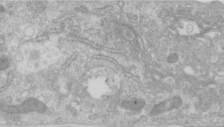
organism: Human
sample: Centriole in RPE cells